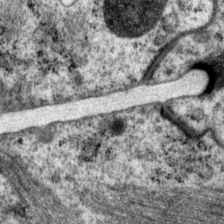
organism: P. pacificus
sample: Pharynx